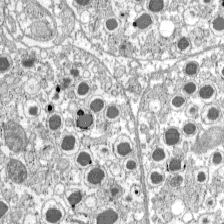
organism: C57BL Mouse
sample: Pancreatic islet